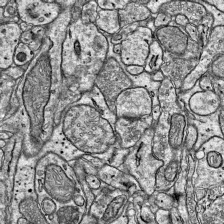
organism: Mouse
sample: Visual Cortex